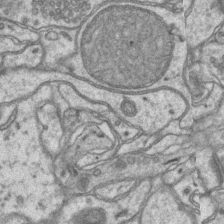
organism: Mouse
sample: CA1 Hippocampus